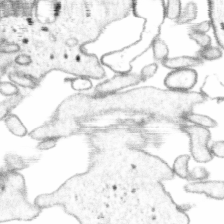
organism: Human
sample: HeLa cells